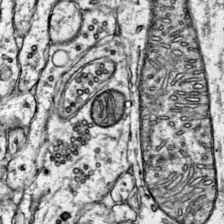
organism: Mouse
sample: Primary visual cortex